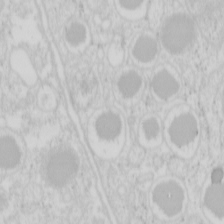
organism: Mouse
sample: Pancreas